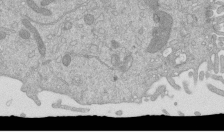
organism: Mouse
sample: ED-1 cell nuclei; centrioles